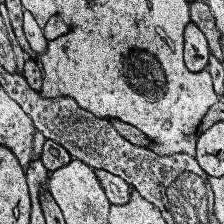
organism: Human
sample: Temporal Lobe